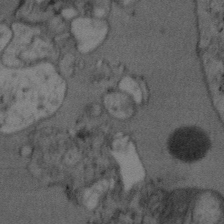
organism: Human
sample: HeLa cells